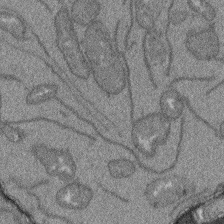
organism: Arabidopsis thaliana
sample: Root tip